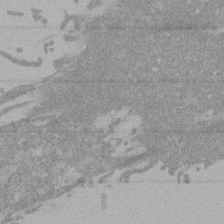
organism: Mouse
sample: ED-1 cell nuclei; centrioles